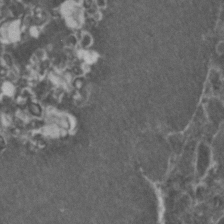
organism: Zebrafish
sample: Zebrafish embryo